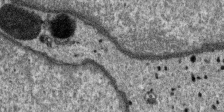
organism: Human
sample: Lung epithelial cells, uninfected (mock) control